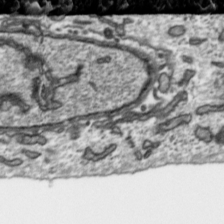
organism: Toxoplasma gondii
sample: Parasites in a vacuole inside a host cell